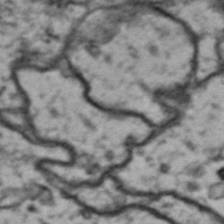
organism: Drosophila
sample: Brain